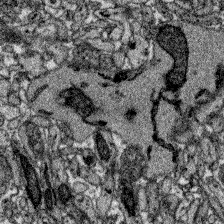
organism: Zebrafish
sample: Larval olfactory bulb